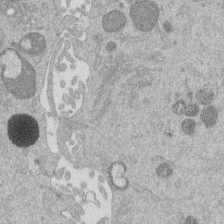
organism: Mouse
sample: Dividing mouse embryo 1 cell stage